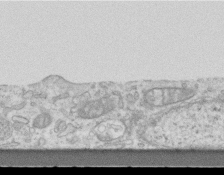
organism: Mouse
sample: Centriole in ependymal cells